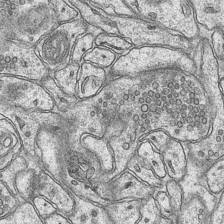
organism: Mouse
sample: CA1 Hippocampus